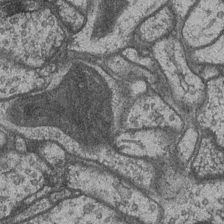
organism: Drosophila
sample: Optic medulla